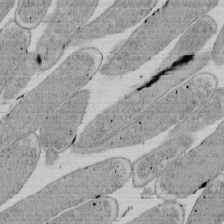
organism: E. coli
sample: Bacterial nucleoid